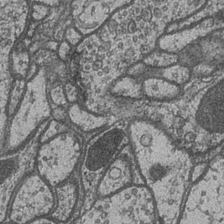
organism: Drosophila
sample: Optic medulla